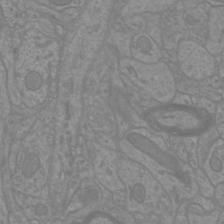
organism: Mouse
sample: Cortical neurons